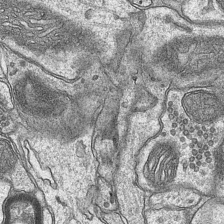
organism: Mouse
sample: CA1 Hippocampus